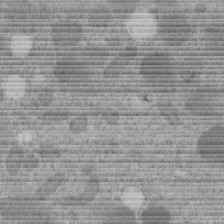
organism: C. elegans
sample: C. elegans embryo early stage